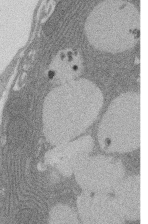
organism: Rat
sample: Salivary granule